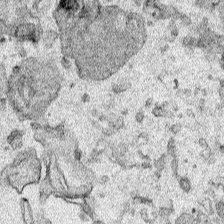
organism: Human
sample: Mitochondria in HCT116 cells